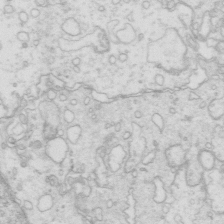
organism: Mouse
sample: Multiciliated cells